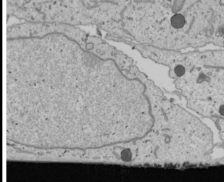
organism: Human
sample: Mitochondria in U2OS cells